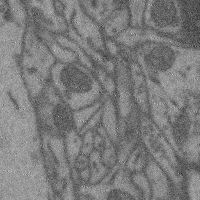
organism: Mouse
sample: Cerebral cortex